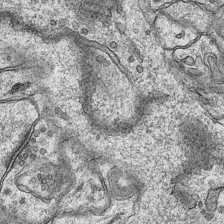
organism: Mouse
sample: CA1 Hippocampus